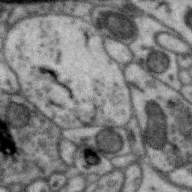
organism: Zebra finch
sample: Brain